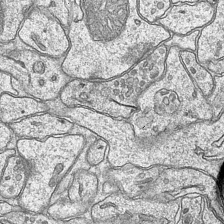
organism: Mouse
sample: CA1 Hippocampus